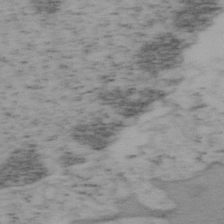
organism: Mouse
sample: OT-I killer T cells with ID8 ovarian cancer cells